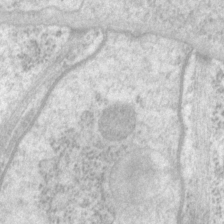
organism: P. pacificus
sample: Pharynx